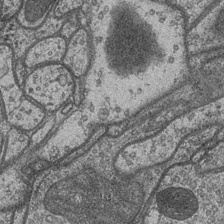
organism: Drosophila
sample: Optic medulla